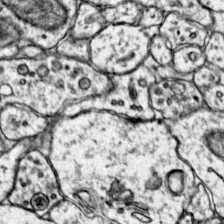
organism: Mouse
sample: Primary visual cortex